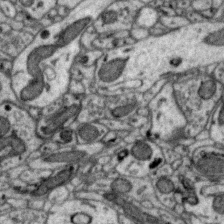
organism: Zebra finch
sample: Brain